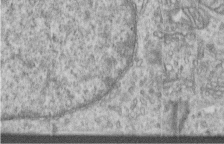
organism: Human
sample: Centriole in RPE cells